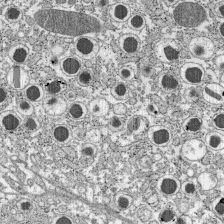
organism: C57BL Mouse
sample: Pancreatic islet